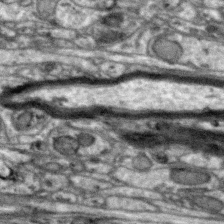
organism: Zebra finch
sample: Brain